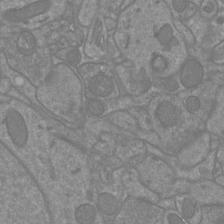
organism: Mouse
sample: Cortical neurons